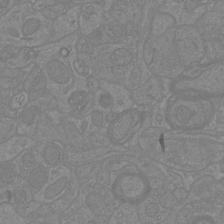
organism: Mouse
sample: Cortical neurons